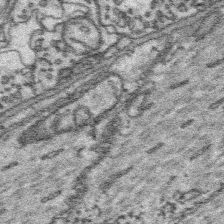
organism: Platynereis dumerilii